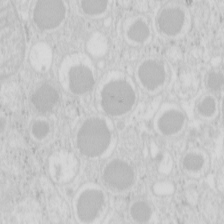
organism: Mouse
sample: Pancreas